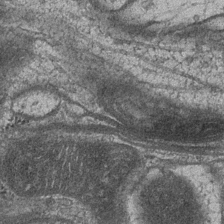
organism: Drosophila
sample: Optic medulla